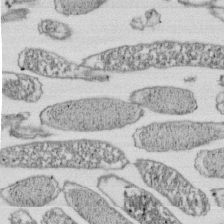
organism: E. coli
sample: Bacterial nucleoid